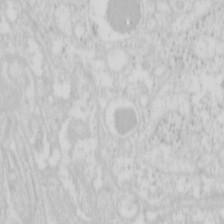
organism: Mouse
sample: Pancreas